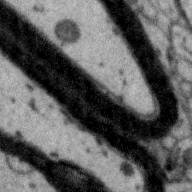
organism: Zebra finch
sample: Brain